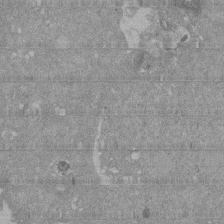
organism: Mouse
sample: ED-1 cell nuclei; centrioles